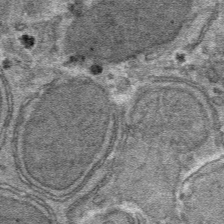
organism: Mouse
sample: Mouse hepatocytes